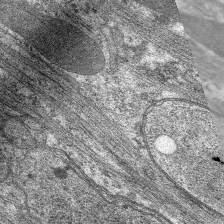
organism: C. elegans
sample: Pharynx